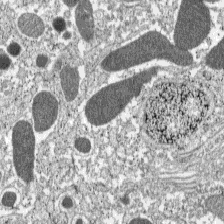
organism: C57BL Mouse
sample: Pancreatic islet